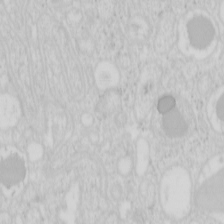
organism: Mouse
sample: Pancreas